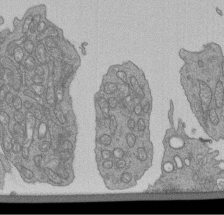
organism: Human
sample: Retinal organoid Rod and Cone cells